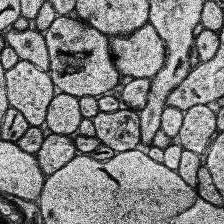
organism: Human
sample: Temporal Lobe